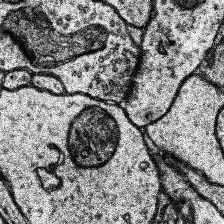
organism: Human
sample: Temporal Lobe